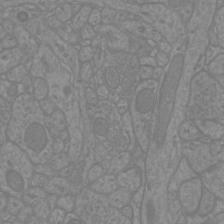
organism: Mouse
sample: Cortical neurons